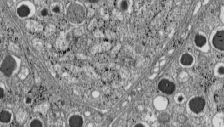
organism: C57BL Mouse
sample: Pancreatic islet